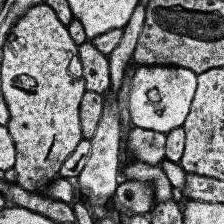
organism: Human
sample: Temporal Lobe